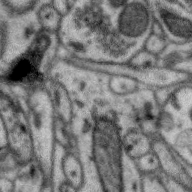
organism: Zebra finch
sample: Brain